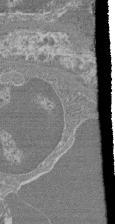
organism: Mouse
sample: Glomerulus